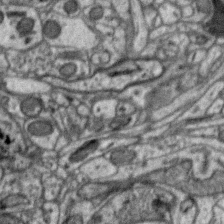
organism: Zebra finch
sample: Brain